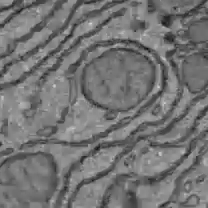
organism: C57BL Mouse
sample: Liver